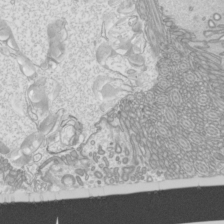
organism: Mouse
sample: Cilia; mouse epididymis